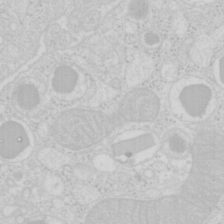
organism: Mouse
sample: Pancreas